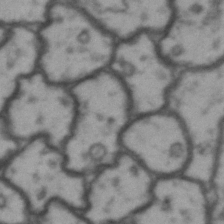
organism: Drosophila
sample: Brain